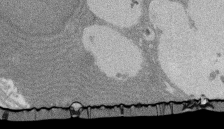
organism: Rat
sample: Salivary granule